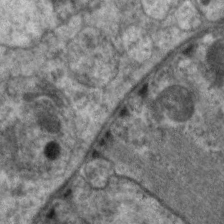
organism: C. elegans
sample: Pharynx